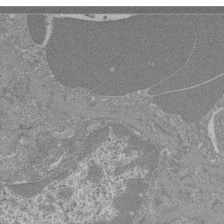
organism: Mouse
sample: Glomerulus